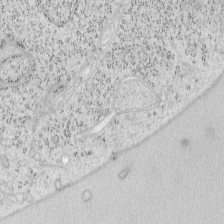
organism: Mouse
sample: OT-I killer T cells with ID8 ovarian cancer cells